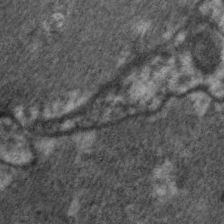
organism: C. elegans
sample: Pharynx